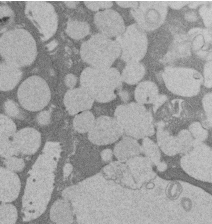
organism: Rat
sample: Salivary granule